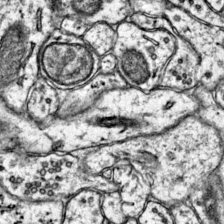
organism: Mouse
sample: Primary visual cortex